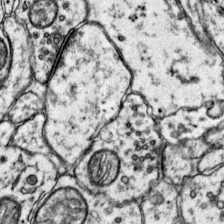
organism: Mouse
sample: Primary visual cortex